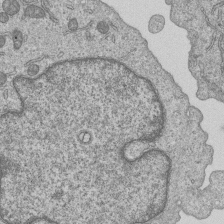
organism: Human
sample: MDA-MB-231 cells